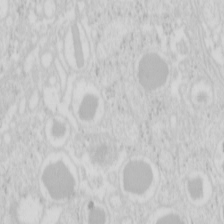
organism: Mouse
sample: Pancreas